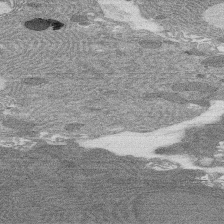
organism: Rat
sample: Salivary granule